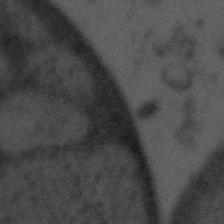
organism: Tuwongella immobilis